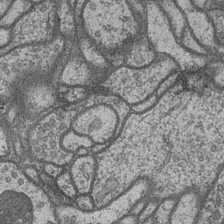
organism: Drosophila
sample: Optic medulla